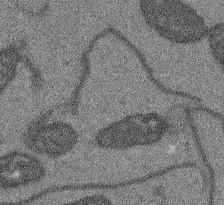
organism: Arabidopsis thaliana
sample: Root tip